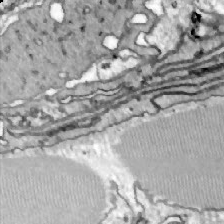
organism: Zebrafish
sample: Actinotrichia fibers